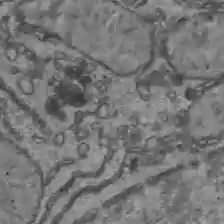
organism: C57BL Mouse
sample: Liver